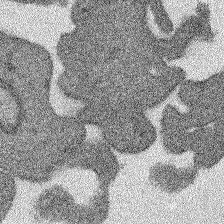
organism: Human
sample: HeLa cells